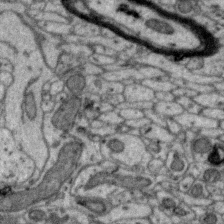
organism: Zebra finch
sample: Brain